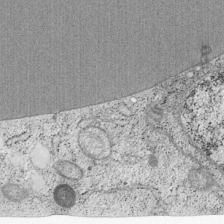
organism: African green monkey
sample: COS-7 cells